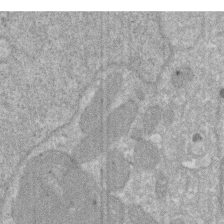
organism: Human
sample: HIV infected U937 cells